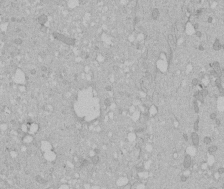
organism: Human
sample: Melanocyte Keratinocyte synapse skin construct